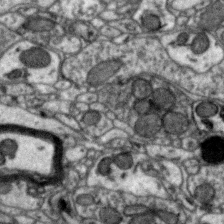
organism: Zebra finch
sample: Brain